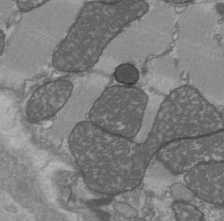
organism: C57BL Mouse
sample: Heart